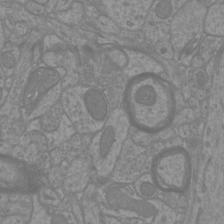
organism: Mouse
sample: Cortical neurons